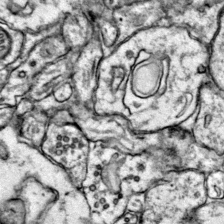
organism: Mouse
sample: Primary visual cortex